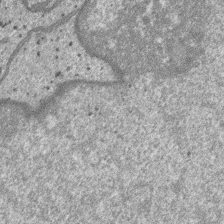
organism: Human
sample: Lung epithelial cells infected with SARS-CoV-2